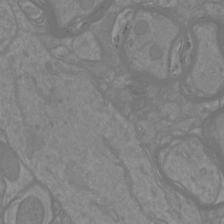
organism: Mouse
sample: Cortical neurons